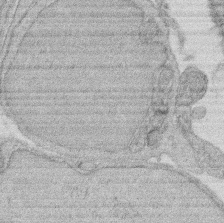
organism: Rat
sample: Salivary granule